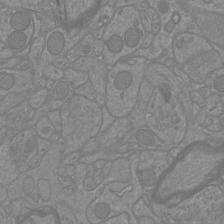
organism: Mouse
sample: Cortical neurons